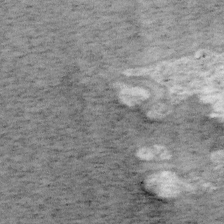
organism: Mouse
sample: OT-I killer T cells with ID8 ovarian cancer cells